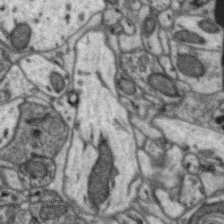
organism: Zebra finch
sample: Brain